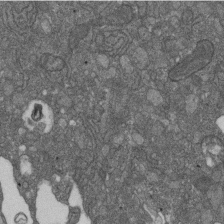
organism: Drosophila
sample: Nephrocyte